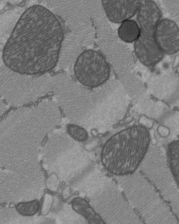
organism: C57BL Mouse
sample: Heart